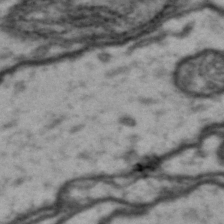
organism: Drosophila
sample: Brain